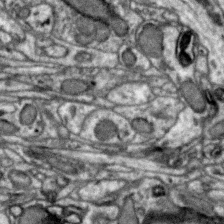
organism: Zebra finch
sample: Brain